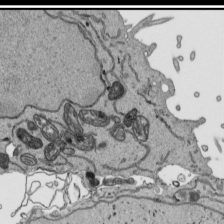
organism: Human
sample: Mitochondria in HCT116 cells